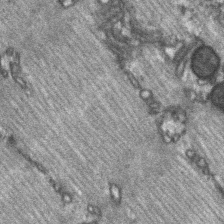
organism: C57BL Mouse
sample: Soleus